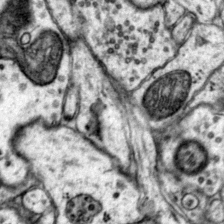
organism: Mouse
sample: Primary visual cortex